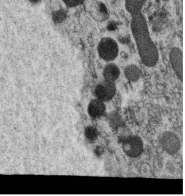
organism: C. elegans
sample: C. elegans oocyte; sperm cells